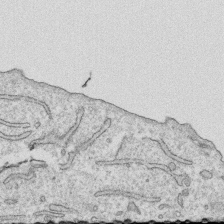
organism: Human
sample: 1205lu cells